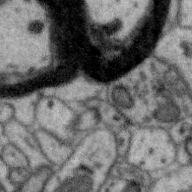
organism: Zebra finch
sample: Brain